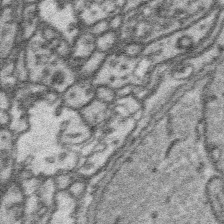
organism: Platynereis dumerilii